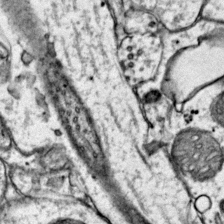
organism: Mouse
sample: Primary visual cortex